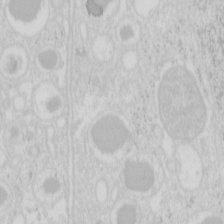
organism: Mouse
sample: Pancreas